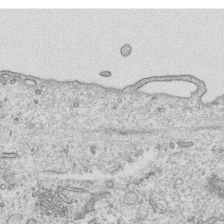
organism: Human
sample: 1205lu cells